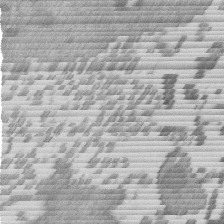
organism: Mouse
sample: Dividing mouse embryo 1 cell stage